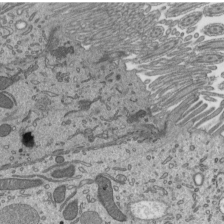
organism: Mouse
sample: Mouse epididymis efferent ductule cilia